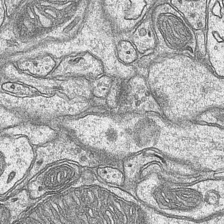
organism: Mouse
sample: CA1 Hippocampus